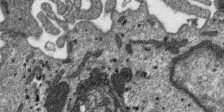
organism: Human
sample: Lung epithelial cells infected with SARS-CoV-2